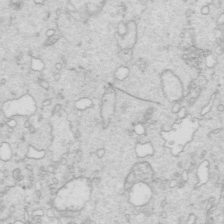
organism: Mouse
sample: Multiciliated cells